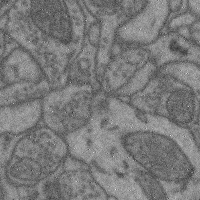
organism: Mouse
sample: Cerebral cortex